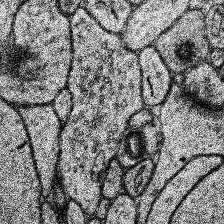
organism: Human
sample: Temporal Lobe